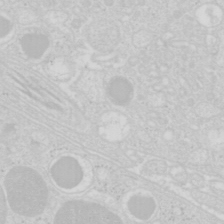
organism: Mouse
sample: Pancreas